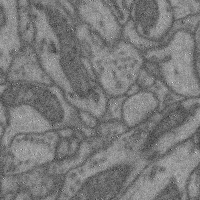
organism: Mouse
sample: Cerebral cortex